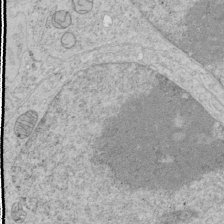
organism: Human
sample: Mitochondria in HCT116 cells